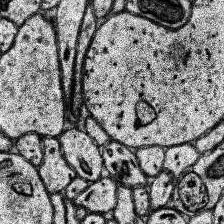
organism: Human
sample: Temporal Lobe